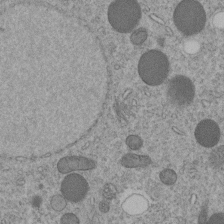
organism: C. elegans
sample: C. elegans embryo early stage